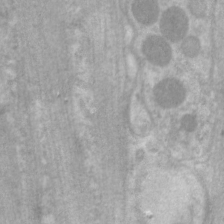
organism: C. elegans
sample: Pharynx